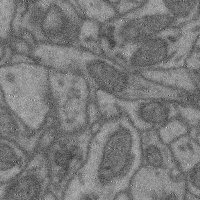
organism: Mouse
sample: Cerebral cortex